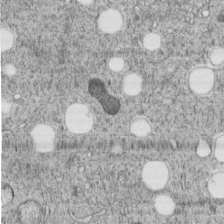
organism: C. elegans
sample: C. elegans embryo early stage